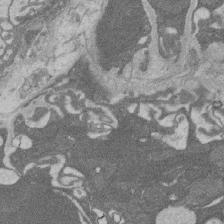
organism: Rat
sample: Salivary granule